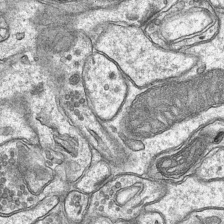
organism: Mouse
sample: CA1 Hippocampus